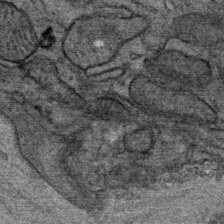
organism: Mouse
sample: Mouse Salivary gland